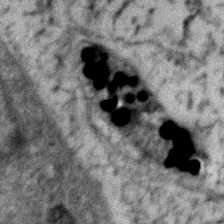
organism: Zebrafish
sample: Zebrafish embryo